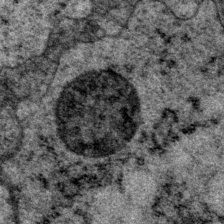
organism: P. pacificus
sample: Pharynx